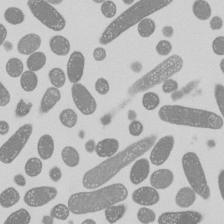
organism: E. coli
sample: Bacterial nucleoid